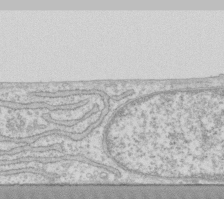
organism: Human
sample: Fibroblast cells